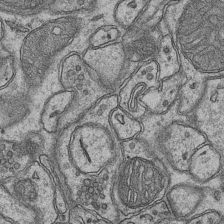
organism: Mouse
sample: CA1 Hippocampus